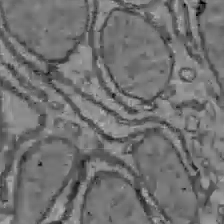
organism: C57BL Mouse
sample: Liver